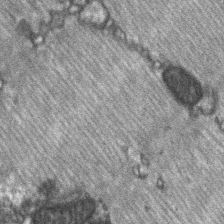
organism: C57BL Mouse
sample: Soleus